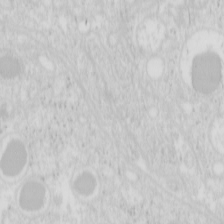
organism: Mouse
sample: Pancreas